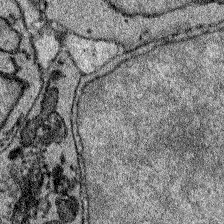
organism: Zebrafish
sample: Larval olfactory bulb